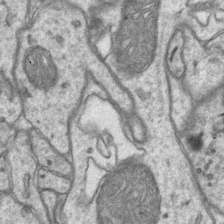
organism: Mouse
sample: CA1 Hippocampus